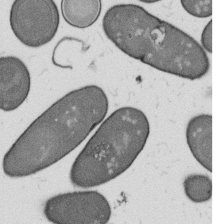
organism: B. subtilis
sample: Bacterial spore